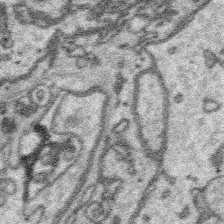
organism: Platynereis dumerilii